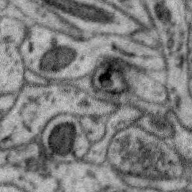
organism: Zebra finch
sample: Brain